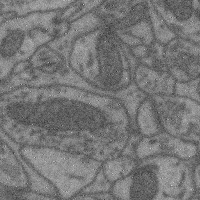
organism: Mouse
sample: Cerebral cortex